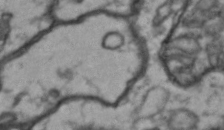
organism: Drosophila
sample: Brain